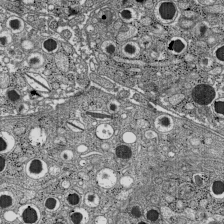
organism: C57BL Mouse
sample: Pancreatic islet